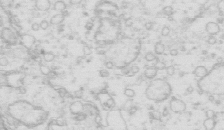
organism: Mouse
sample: Multiciliated cells